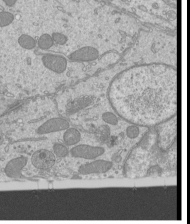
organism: Mouse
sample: Cilia; mouse epididymis